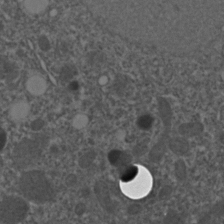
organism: C. elegans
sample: C. elegans embryo